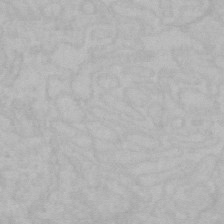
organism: Mouse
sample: Choroid plexus